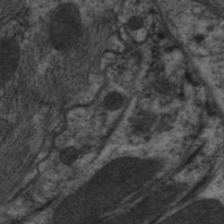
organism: C. elegans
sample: Pharynx